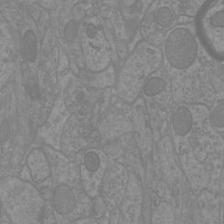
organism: Mouse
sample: Cortical neurons